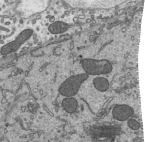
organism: Mouse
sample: Mouse epididymis efferent ductule cilia